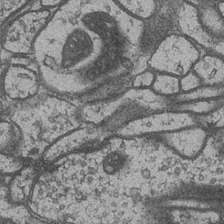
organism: Drosophila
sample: Optic medulla